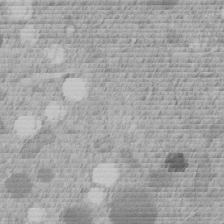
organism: C. elegans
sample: C. elegans embryo early stage